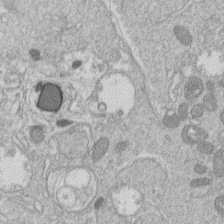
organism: Human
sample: Macrophage cells